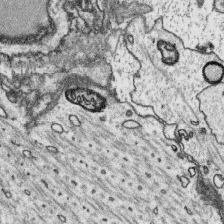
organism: Platynereis dumerilii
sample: Parapodia